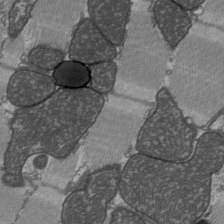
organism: C57BL Mouse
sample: Heart